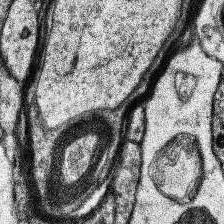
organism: Human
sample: Temporal Lobe